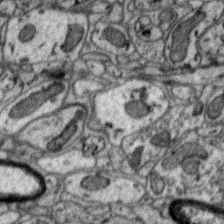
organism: Zebra finch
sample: Brain